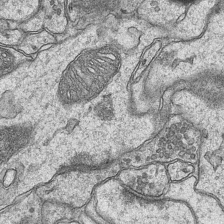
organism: Mouse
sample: CA1 Hippocampus